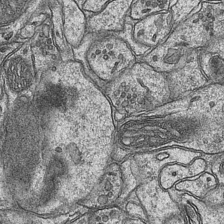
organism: Mouse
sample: CA1 Hippocampus